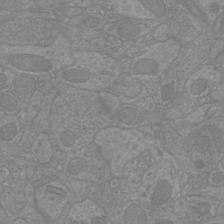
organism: Mouse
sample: Cortical neurons